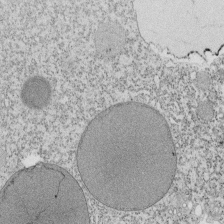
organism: Tetrahymena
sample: Cilia in tetrahymena